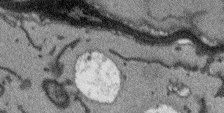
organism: Arabidopsis thaliana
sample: Root tip